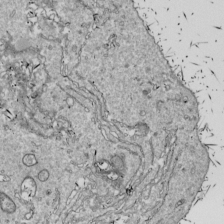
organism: Drosophila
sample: Cell division; meiosis; drosophila spermatocytes